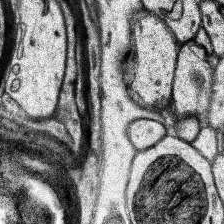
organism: Human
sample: Temporal Lobe